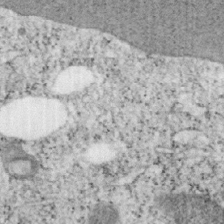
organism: Mouse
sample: OT-I killer T cells with ID8 ovarian cancer cells